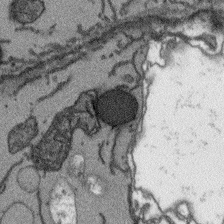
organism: Arabidopsis thaliana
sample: Root tip